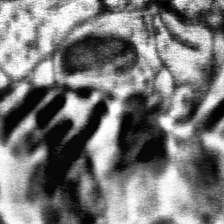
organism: Human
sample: Temporal Lobe